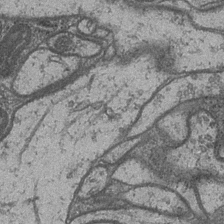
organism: Drosophila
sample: Optic medulla